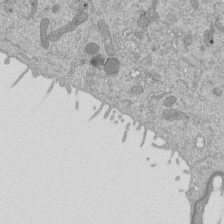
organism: Mouse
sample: ED-1 cell nuclei; centrioles